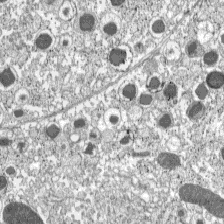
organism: C57BL Mouse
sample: Pancreatic islet